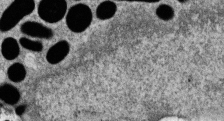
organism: Zebrafish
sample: Cilia; retinal pigment epithelium